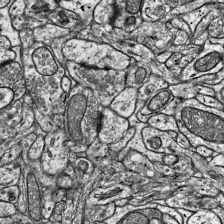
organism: Mouse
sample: Visual Cortex